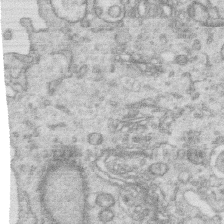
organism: Human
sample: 1205lu cells